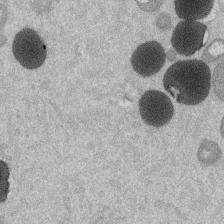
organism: Mouse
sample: Dividing mouse embryo 1 cell stage